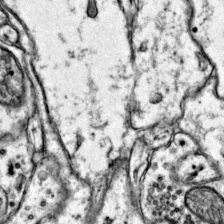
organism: Mouse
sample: Primary visual cortex